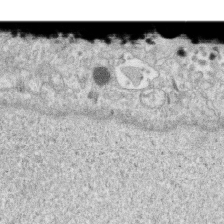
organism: Human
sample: HeLa cell HIV synapse